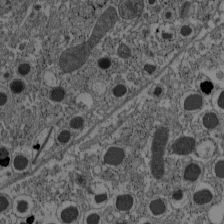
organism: C57BL Mouse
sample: Pancreatic islet